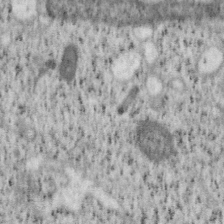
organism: Mouse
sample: OT-I killer T cells with ID8 ovarian cancer cells